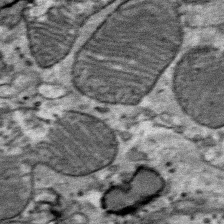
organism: Mouse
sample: Mouse Salivary gland